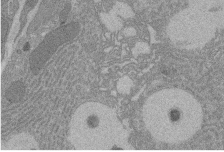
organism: Rat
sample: Salivary granule